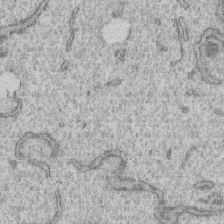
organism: Human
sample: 1205lu cells